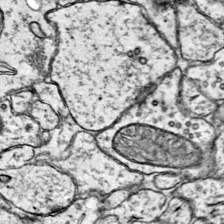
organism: Mouse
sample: Primary visual cortex